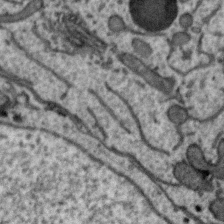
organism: Zebra finch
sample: Brain